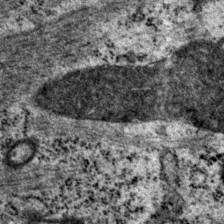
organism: P. pacificus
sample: Pharynx